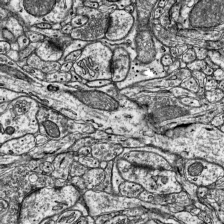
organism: Mouse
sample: Visual Cortex